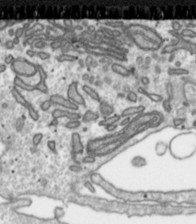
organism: Toxoplasma gondii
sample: Parasites in a vacuole inside a host cell